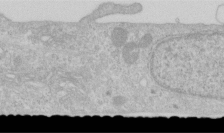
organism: Human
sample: Centriole in RPE cells